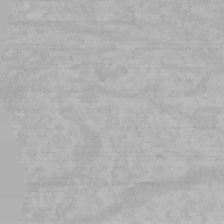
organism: Mouse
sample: Choroid plexus